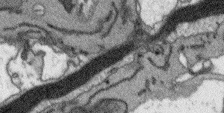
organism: Arabidopsis thaliana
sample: Root tip